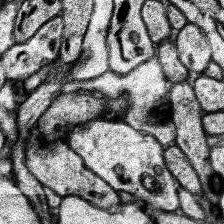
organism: Human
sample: Temporal Lobe